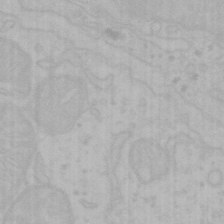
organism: Mouse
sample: Choroid plexus